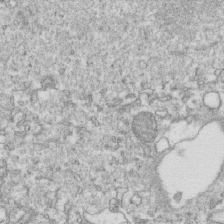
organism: Mouse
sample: Activated OT-1 CD8+ T cells